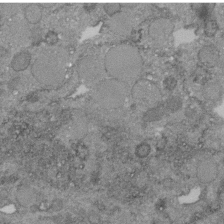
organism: C. elegans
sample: C. elegans embryo early stage